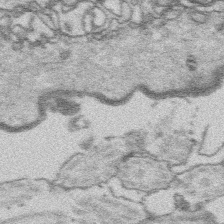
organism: Platynereis dumerilii